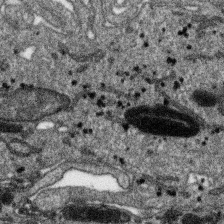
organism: Human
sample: Lung epithelial cells infected with SARS-CoV-2